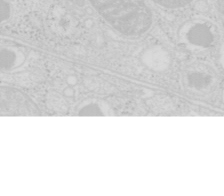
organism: Mouse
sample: Pancreas